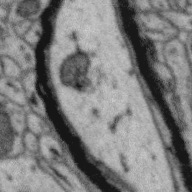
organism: Zebra finch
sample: Brain